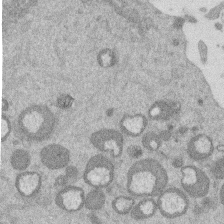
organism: Mouse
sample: Dividing mouse embryo 1 cell stage